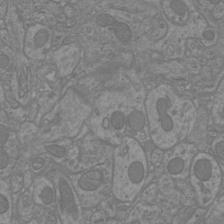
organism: Mouse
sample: Cortical neurons